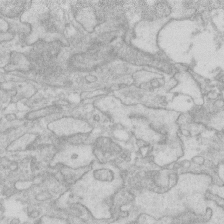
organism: Human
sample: Fibroblast cells